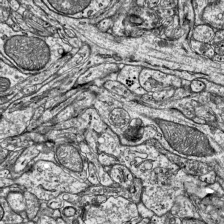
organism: Mouse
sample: Visual Cortex